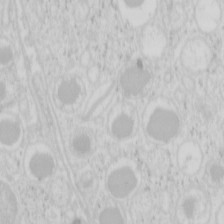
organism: Mouse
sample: Pancreas